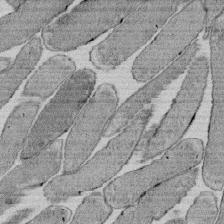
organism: E. coli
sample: Bacterial nucleoid